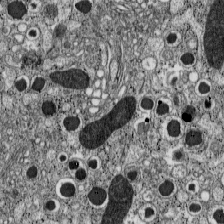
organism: C57BL Mouse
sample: Pancreatic islet